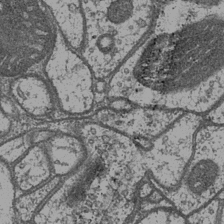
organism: Drosophila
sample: Optic medulla